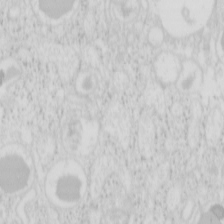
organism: Mouse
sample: Pancreas